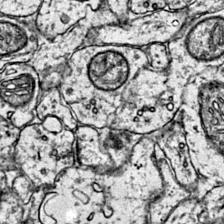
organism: Mouse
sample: Primary visual cortex